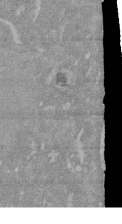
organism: Mouse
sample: ED-1 cell nuclei; centrioles